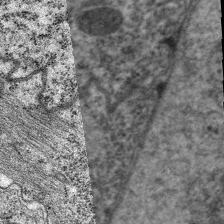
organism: C. elegans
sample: Pharynx